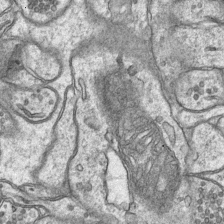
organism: Mouse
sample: CA1 Hippocampus